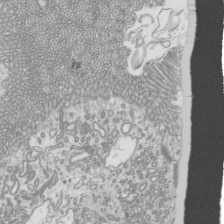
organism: Mouse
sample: Cilia; mouse epididymis